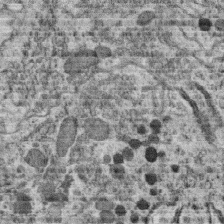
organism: C. elegans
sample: C. elegans oocyte; sperm cells